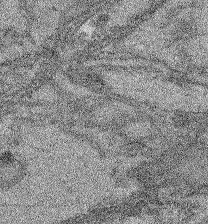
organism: Human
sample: HeLa cells